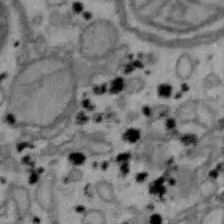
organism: Mouse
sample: Liver